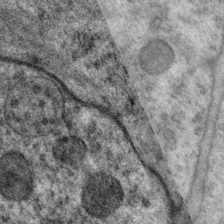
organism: P. pacificus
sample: Pharynx